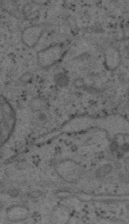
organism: Human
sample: HeLa cells